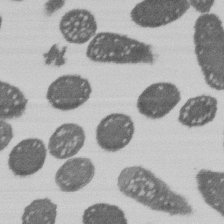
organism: E. coli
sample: Bacterial nucleoid